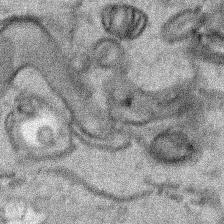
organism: Human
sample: Mitochondria in HCT116 cells